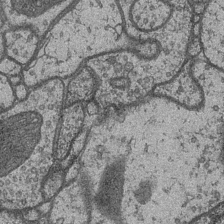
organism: Drosophila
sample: Optic medulla